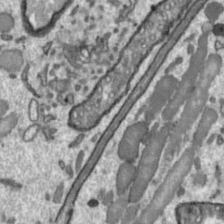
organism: Toxoplasma gondii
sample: Parasites in a vacuole inside a host cell